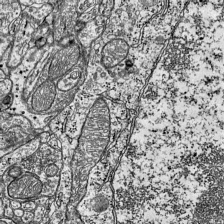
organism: Mouse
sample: Visual Cortex